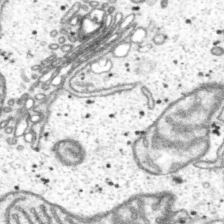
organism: Human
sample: HeLa cells